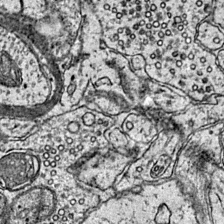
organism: Mouse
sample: Primary visual cortex